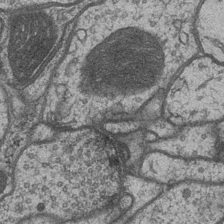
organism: Drosophila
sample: Optic medulla